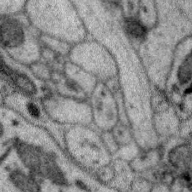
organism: Zebra finch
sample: Brain